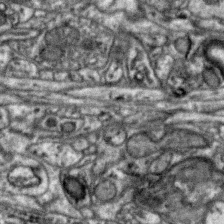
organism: Zebra finch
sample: Brain